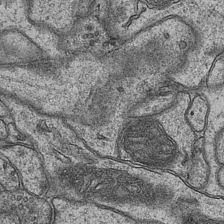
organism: Mouse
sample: CA1 Hippocampus